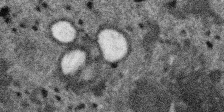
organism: Human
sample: Lung epithelial cells infected with SARS-CoV-2